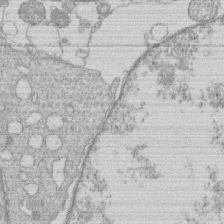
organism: Human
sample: Macrophage cells